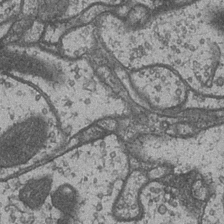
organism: Drosophila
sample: Optic medulla